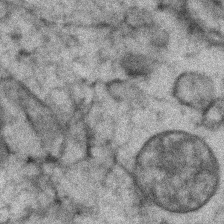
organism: Zebrafish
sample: Zebrafish embryo